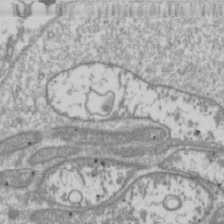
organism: Drosophila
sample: Cell division; meiosis; drosophila spermatocytes